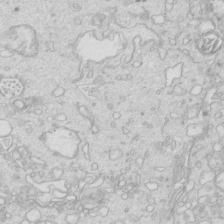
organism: Mouse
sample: Multiciliated cells